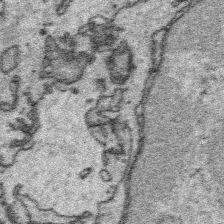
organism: Platynereis dumerilii